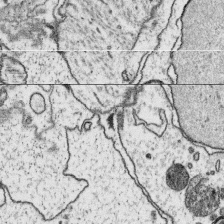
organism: Platynereis dumerilii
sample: Parapodia